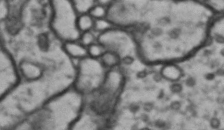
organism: Drosophila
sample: Brain